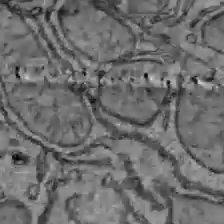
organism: C57BL Mouse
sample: Liver